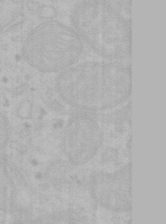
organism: Mouse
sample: Choroid plexus